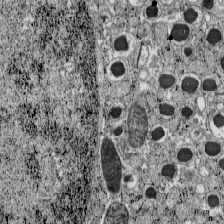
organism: C57BL Mouse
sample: Pancreatic islet